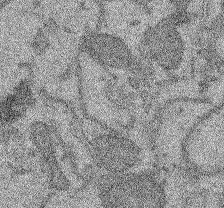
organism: Human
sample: HeLa cells